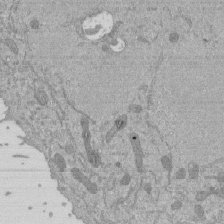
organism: Mouse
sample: ED-1 cell nuclei; centrioles